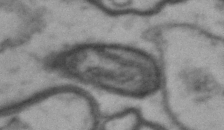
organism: Drosophila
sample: Brain